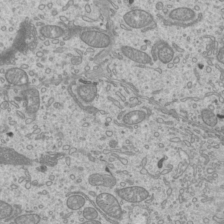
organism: Mouse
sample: Cilia; mouse epididymis